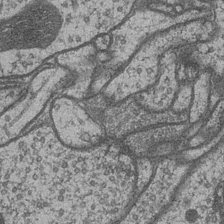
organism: Drosophila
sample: Optic medulla